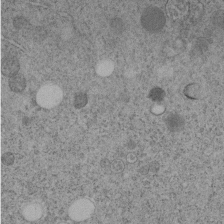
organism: C. elegans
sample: C. elegans embryo early stage